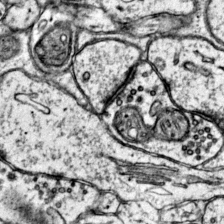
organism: Mouse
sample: Primary visual cortex